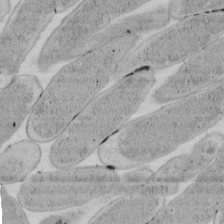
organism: E. coli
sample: Bacterial nucleoid